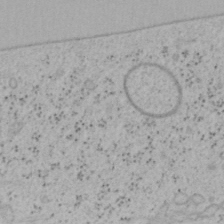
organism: Human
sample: HeLa cells